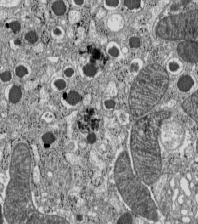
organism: C57BL Mouse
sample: Pancreatic islet